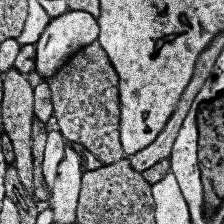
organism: Human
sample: Temporal Lobe